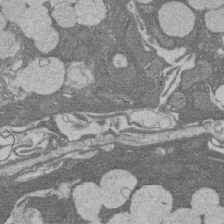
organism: Rat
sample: Salivary granule